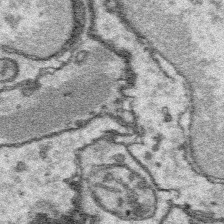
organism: Platynereis dumerilii